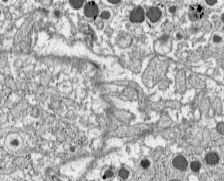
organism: C57BL Mouse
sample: Pancreatic islet